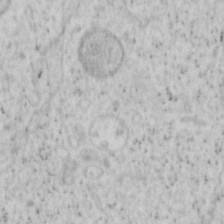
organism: Human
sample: HeLa cells